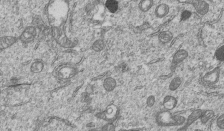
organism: Human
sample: MDA-MB-231 cells